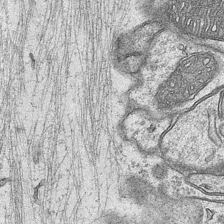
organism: Mouse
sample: CA1 Hippocampus